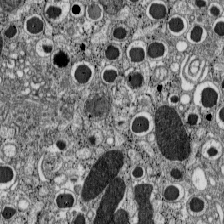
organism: C57BL Mouse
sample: Pancreatic islet